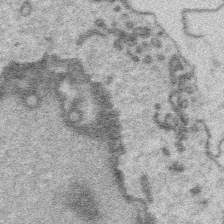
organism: Platynereis dumerilii